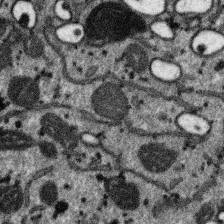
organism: Human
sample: Lung epithelial cells infected with SARS-CoV-2